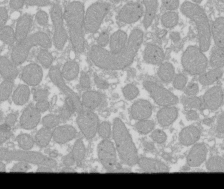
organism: Xenopus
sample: Cilia; centrioles in frog embryo cells